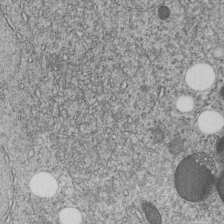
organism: C. elegans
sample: C. elegans embryo early stage